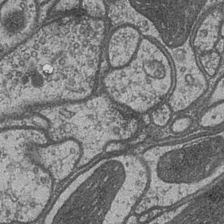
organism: Drosophila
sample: Optic medulla